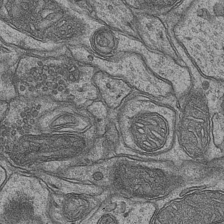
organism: Mouse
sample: CA1 Hippocampus